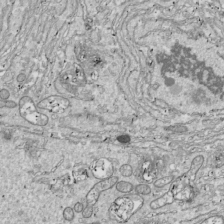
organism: Drosophila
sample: Cell division; meiosis; drosophila spermatocytes